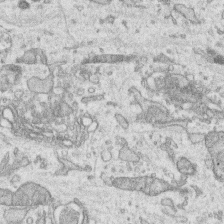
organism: Human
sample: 1205lu cells